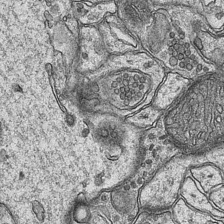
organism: Mouse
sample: CA1 Hippocampus